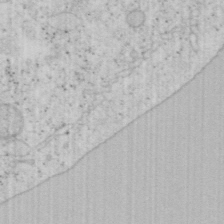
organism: Human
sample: HeLa cells